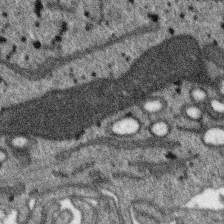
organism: Human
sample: Lung epithelial cells infected with SARS-CoV-2